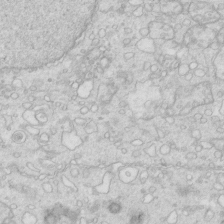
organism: Mouse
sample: Multiciliated cells